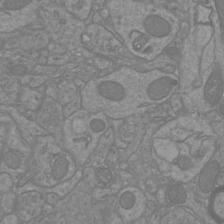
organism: Mouse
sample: Cortical neurons